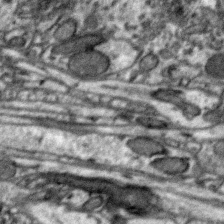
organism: Zebra finch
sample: Brain